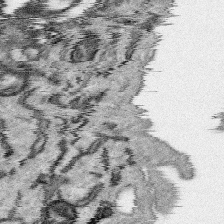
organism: Human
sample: HeLa cells